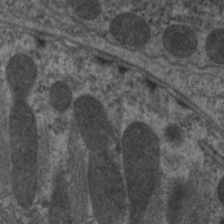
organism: C. elegans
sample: Pharynx